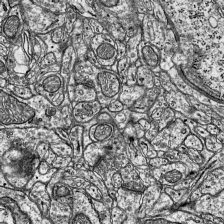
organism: Mouse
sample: Visual Cortex